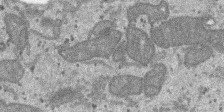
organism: Human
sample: Lung epithelial cells infected with SARS-CoV-2